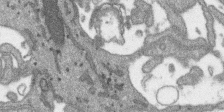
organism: Human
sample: Lung epithelial cells infected with SARS-CoV-2